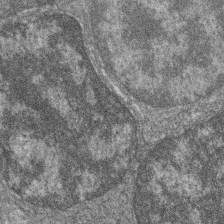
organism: Zebrafish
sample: Cilia; retinal pigment epithelium